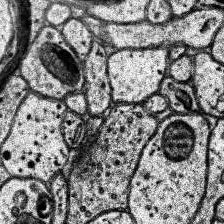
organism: Human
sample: Temporal Lobe